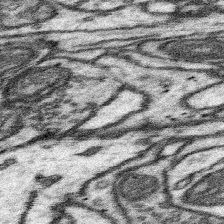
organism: Mouse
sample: Somatosensory cortex neuropil